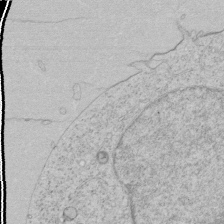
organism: Human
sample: Mitochondria in HCT116 cells